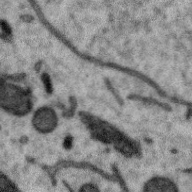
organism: Zebra finch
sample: Brain